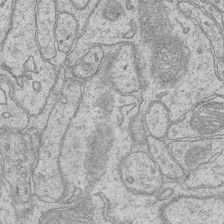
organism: Mouse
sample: CA1 Hippocampus